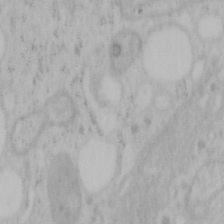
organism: Mouse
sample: OT-I killer T cells with ID8 ovarian cancer cells